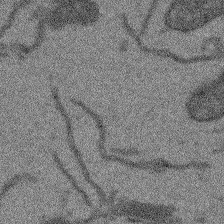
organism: Arabidopsis thaliana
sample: Root tip